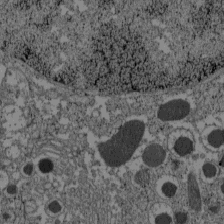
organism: C57BL Mouse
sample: Pancreatic islet